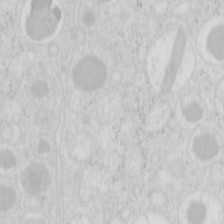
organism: Mouse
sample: Pancreas